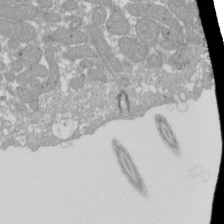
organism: Xenopus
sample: Cilia; centrioles in frog embryo cells